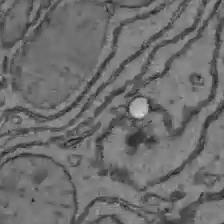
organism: C57BL Mouse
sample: Liver